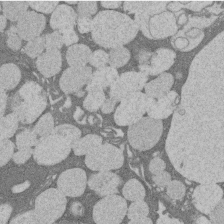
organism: Rat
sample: Salivary granule